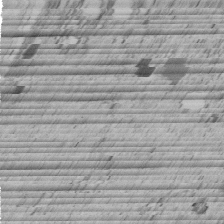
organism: C. elegans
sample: C. elegans embryo early stage